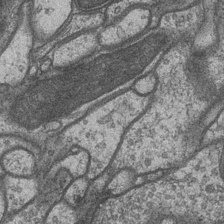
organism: Drosophila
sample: Optic medulla